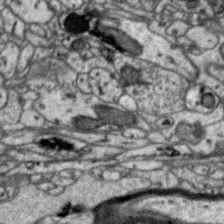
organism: Zebra finch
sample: Brain